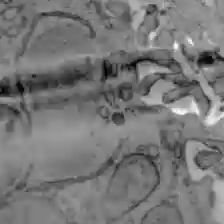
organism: C57BL Mouse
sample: Liver